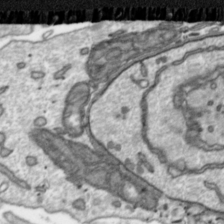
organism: Toxoplasma gondii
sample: Parasites in a vacuole inside a host cell